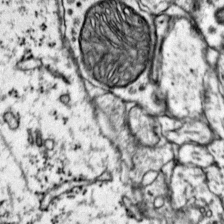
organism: Mouse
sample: Primary visual cortex